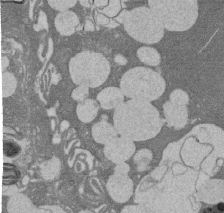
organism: Rat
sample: Salivary granule